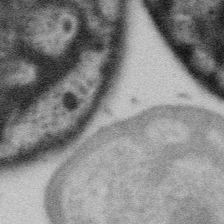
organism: Gemmata obscuriglobus